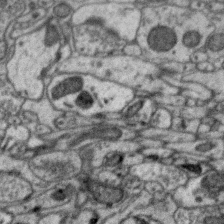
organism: Zebra finch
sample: Brain